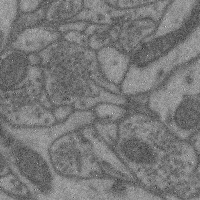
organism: Mouse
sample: Cerebral cortex